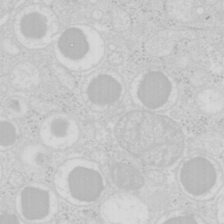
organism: Mouse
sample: Pancreas